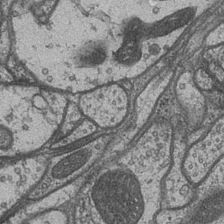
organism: Drosophila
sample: Optic medulla